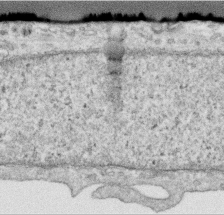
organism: Human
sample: Centriole in RPE cells